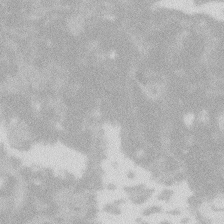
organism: Zebrafish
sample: Macrophage